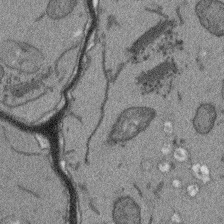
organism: Arabidopsis thaliana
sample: Root tip